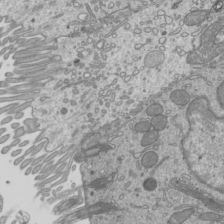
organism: Mouse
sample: Cilia; mouse epididymis